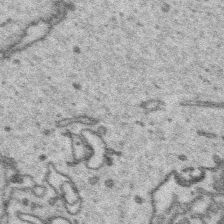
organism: Platynereis dumerilii